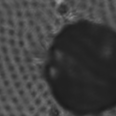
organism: C57BL Mouse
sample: Heart